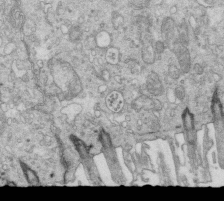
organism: Mouse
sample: Multiciliated cells